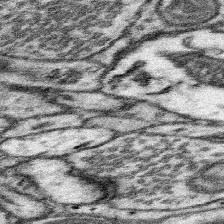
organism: Mouse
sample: Somatosensory cortex neuropil